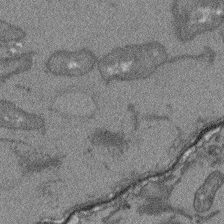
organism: Arabidopsis thaliana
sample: Root tip